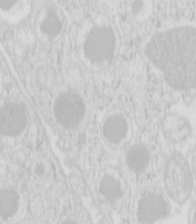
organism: Mouse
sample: Pancreas